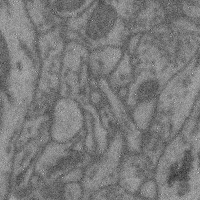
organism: Mouse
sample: Cerebral cortex